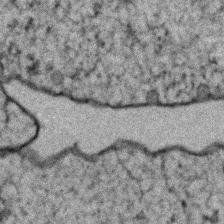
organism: Zebrafish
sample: Zebrafish embryo